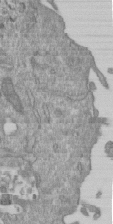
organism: Mouse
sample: ED-1 cell nuclei; centrioles